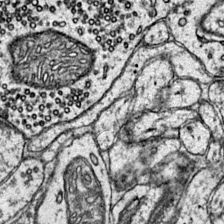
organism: Mouse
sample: Primary visual cortex